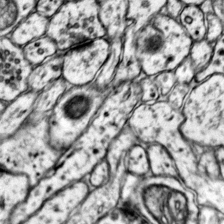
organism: Mouse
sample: Primary visual cortex